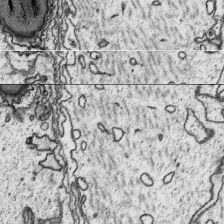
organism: Platynereis dumerilii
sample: Parapodia